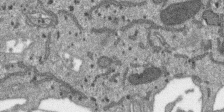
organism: Human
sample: Lung epithelial cells infected with SARS-CoV-2